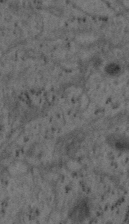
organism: Human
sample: HeLa cells